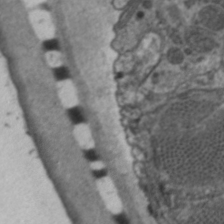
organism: C. elegans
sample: Pharynx